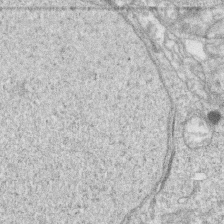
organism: Human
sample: HeLa cell HIV synapse